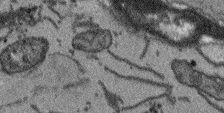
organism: Arabidopsis thaliana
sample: Root tip